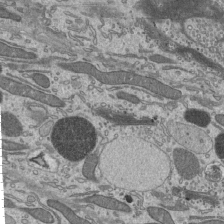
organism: Mouse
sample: Mouse epididymis efferent ductule cilia